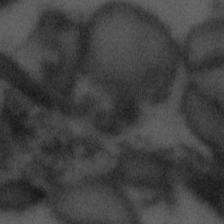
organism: Tuwongella immobilis